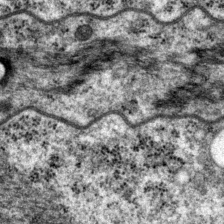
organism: P. pacificus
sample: Pharynx